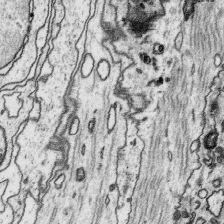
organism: Platynereis dumerilii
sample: Parapodia